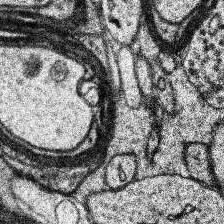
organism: Human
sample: Temporal Lobe